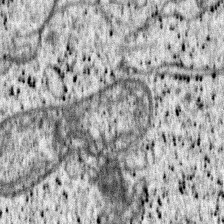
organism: Human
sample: HeLa cells